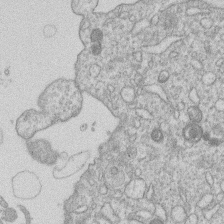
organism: Human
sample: Macrophage cells